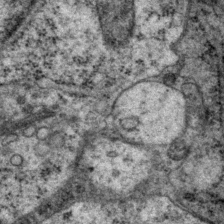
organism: P. pacificus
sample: Pharynx